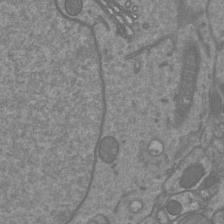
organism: Mouse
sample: Cortical neurons